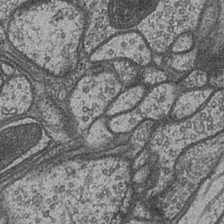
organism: Drosophila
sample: Optic medulla